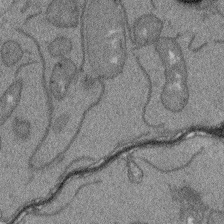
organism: Arabidopsis thaliana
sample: Root tip